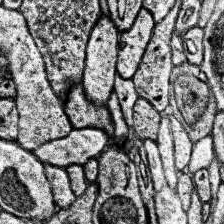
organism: Human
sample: Temporal Lobe